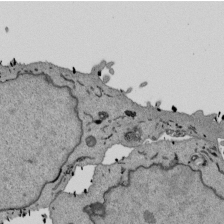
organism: Mouse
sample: ED-1 cell nuclei; centrioles